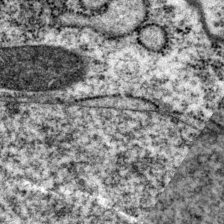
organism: P. pacificus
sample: Pharynx